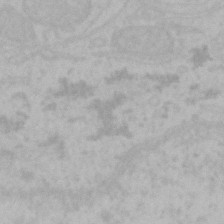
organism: Mouse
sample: Choroid plexus